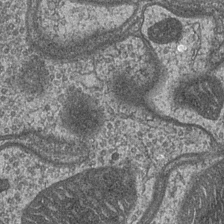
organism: Drosophila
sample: Optic medulla